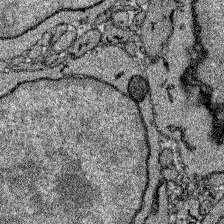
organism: Zebrafish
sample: Larval olfactory bulb